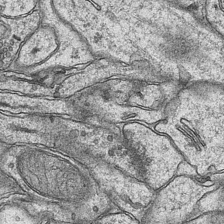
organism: Mouse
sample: CA1 Hippocampus